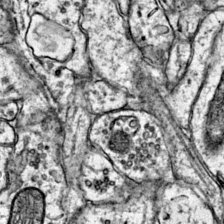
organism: Mouse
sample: Primary visual cortex